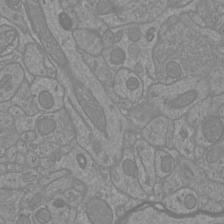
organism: Mouse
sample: Cortical neurons